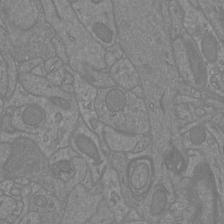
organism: Mouse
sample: Cortical neurons